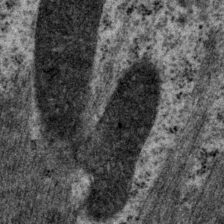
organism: P. pacificus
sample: Pharynx